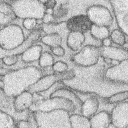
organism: Rabbit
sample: Retina